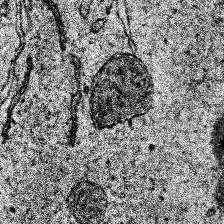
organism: Human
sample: Temporal Lobe